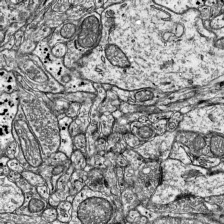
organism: Mouse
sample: Visual Cortex